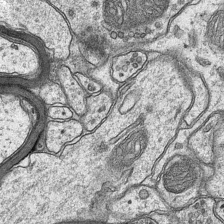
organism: Mouse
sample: CA1 Hippocampus